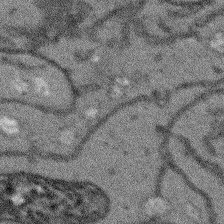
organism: Arabidopsis thaliana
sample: Root tip